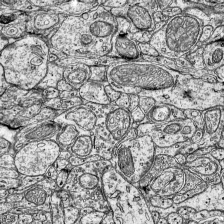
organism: Mouse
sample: Visual Cortex